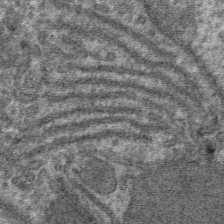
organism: Mouse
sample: Mouse hepatocytes